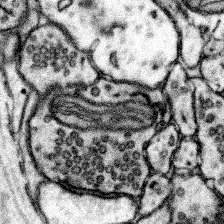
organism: Mouse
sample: Somatosensory cortex neuropil